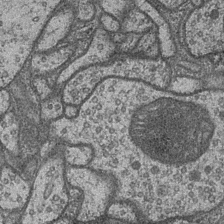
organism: Drosophila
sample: Optic medulla